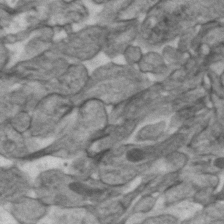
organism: Zebrafish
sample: Zebrafish embryo